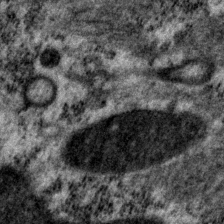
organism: P. pacificus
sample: Pharynx